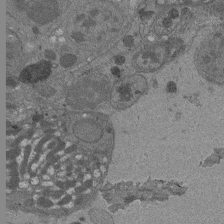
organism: Drosophila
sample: Antenna